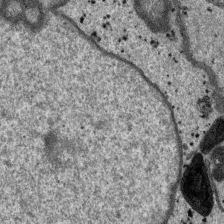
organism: Human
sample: Lung epithelial cells, uninfected (mock) control